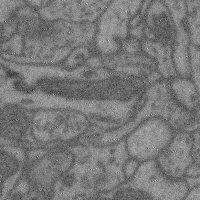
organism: Mouse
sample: Cerebral cortex